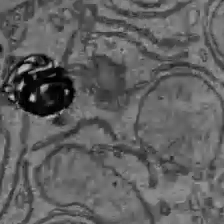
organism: C57BL Mouse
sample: Liver